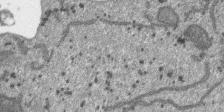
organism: Human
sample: Lung epithelial cells infected with SARS-CoV-2